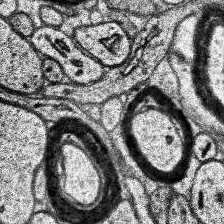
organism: Human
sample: Temporal Lobe